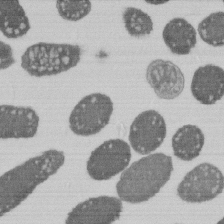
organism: E. coli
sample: Bacterial nucleoid